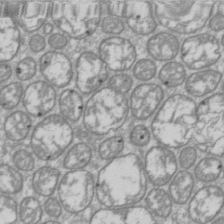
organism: Drosophila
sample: Cell division; meiosis; drosophila spermatocytes